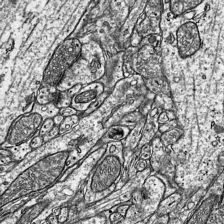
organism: Mouse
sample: Visual Cortex